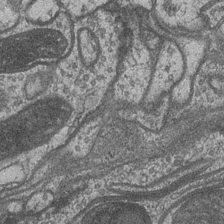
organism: Drosophila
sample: Optic medulla